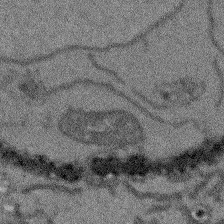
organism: Arabidopsis thaliana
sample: Root tip